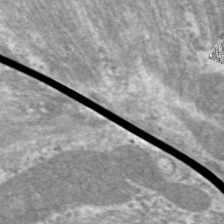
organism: C. elegans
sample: Pharynx